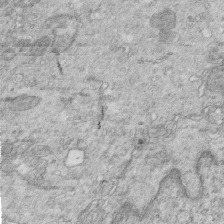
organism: Mouse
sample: Multiciliated cells